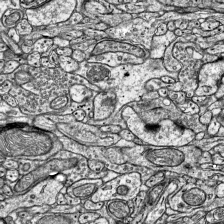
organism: Mouse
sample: Visual Cortex